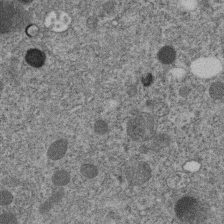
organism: C. elegans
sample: C. elegans embryo early stage